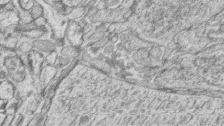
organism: Zebrafish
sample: synaptic ribbons in rod cells and cone cells